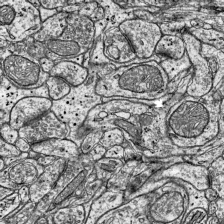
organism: Mouse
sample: Visual Cortex